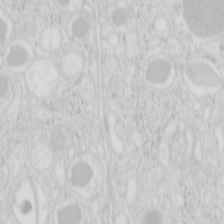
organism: Mouse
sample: Pancreas